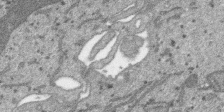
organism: Human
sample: Lung epithelial cells infected with SARS-CoV-2